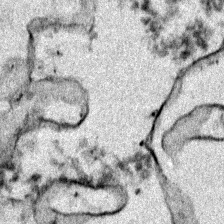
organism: Zebrafish